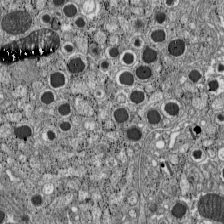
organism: C57BL Mouse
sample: Pancreatic islet